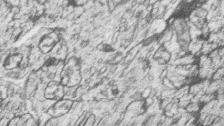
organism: Zebrafish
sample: synaptic ribbons in rod cells and cone cells